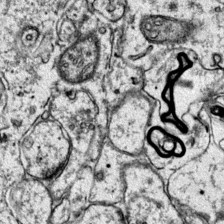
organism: Mouse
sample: Primary visual cortex